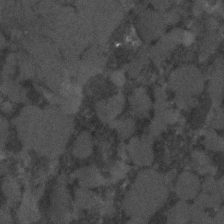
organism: C. elegans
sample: C. elegans embryo